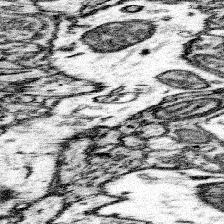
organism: Mouse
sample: Somatosensory cortex neuropil